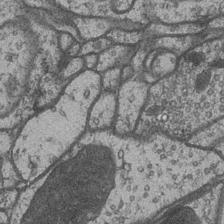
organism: Drosophila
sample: Optic medulla